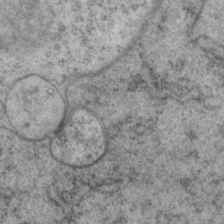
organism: P. pacificus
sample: Pharynx